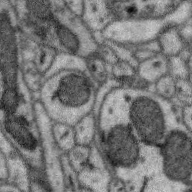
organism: Zebra finch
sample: Brain